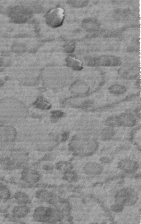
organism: C. elegans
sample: C. elegans embryo early stage